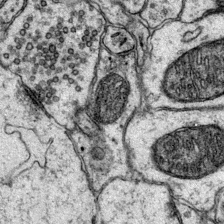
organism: Mouse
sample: Primary visual cortex